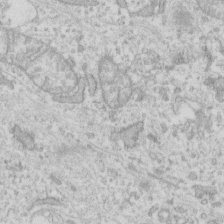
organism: Human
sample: Fibroblast cells